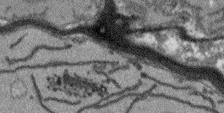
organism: Arabidopsis thaliana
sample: Root tip